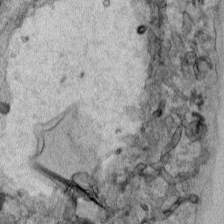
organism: Human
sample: Mitochondria in HCT116 cells